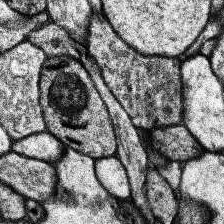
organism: Human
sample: Temporal Lobe